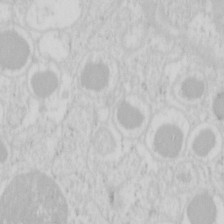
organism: Mouse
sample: Pancreas